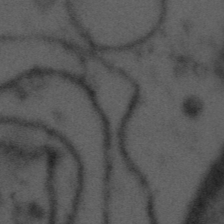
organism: Tuwongella immobilis